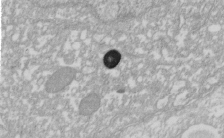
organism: Xenopus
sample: Cilia; centrioles in frog embryo cells